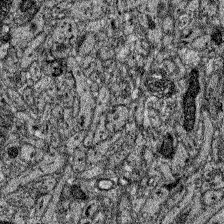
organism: Zebrafish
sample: Larval olfactory bulb